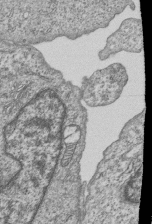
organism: Human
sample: MDA-MB-231 cells